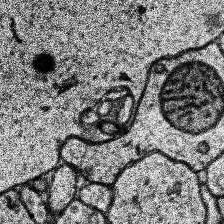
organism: Human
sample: Temporal Lobe